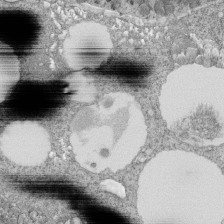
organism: Tetrahymena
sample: Cilia in tetrahymena